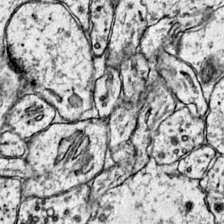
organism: Mouse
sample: Primary visual cortex